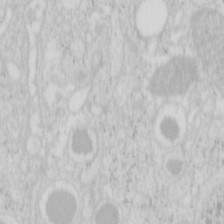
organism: Mouse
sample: Pancreas